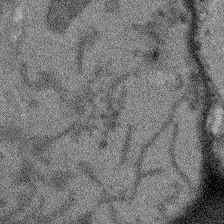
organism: Arabidopsis thaliana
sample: Root tip